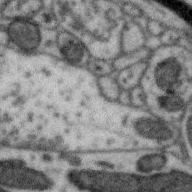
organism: Zebra finch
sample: Brain